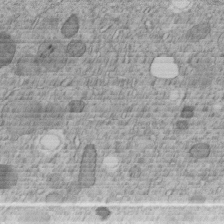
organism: C. elegans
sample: C. elegans embryo early stage